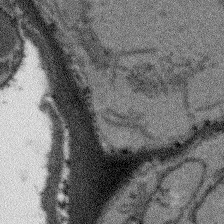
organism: Arabidopsis thaliana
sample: Root tip